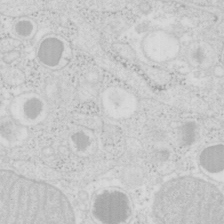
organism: Mouse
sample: Pancreas